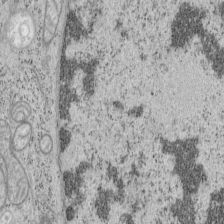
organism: Mouse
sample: OT-I killer T cells with ID8 ovarian cancer cells